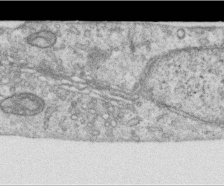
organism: Human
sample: Centriole in RPE cells